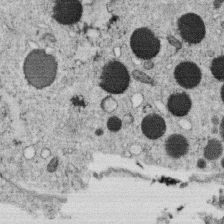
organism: C. elegans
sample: C. elegans oocyte; sperm cells